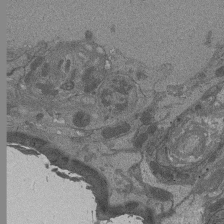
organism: Drosophila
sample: Antenna